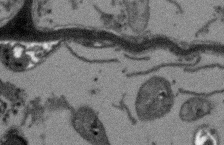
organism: Arabidopsis thaliana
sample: Root tip